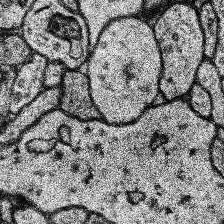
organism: Human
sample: Temporal Lobe